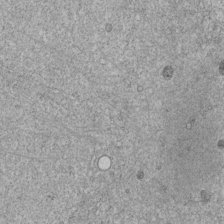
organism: C. elegans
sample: C. elegans embryo early stage